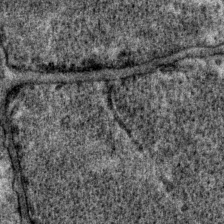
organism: P. pacificus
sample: Pharynx